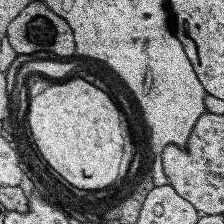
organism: Human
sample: Temporal Lobe